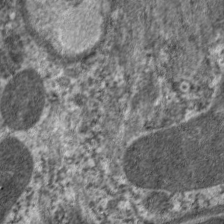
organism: C. elegans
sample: Pharynx